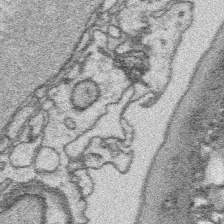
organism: Platynereis dumerilii